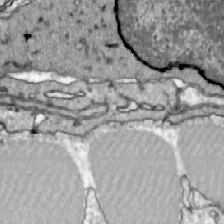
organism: Zebrafish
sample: Actinotrichia fibers